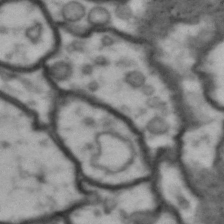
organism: Drosophila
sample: Brain